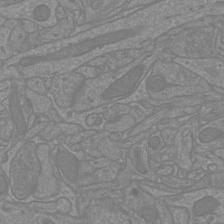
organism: Mouse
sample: Cortical neurons